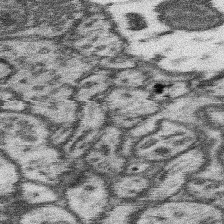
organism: Mouse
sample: Somatosensory cortex neuropil